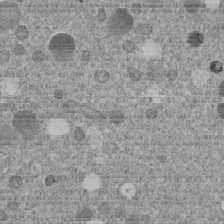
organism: C. elegans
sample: C. elegans embryo early stage